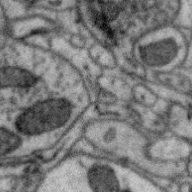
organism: Zebra finch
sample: Brain